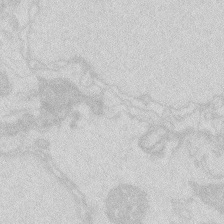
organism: Zebrafish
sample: Macrophage